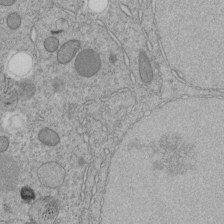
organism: C. elegans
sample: C. elegans embryo early stage